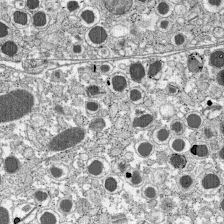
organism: C57BL Mouse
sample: Pancreatic islet